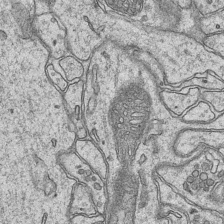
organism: Mouse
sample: CA1 Hippocampus